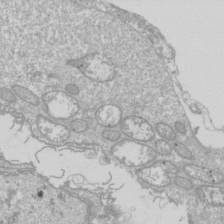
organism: Drosophila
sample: Cell division; meiosis; drosophila spermatocytes